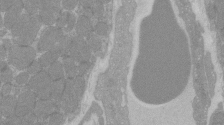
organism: C57BL Mouse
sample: Tibialis anterior muscle cell